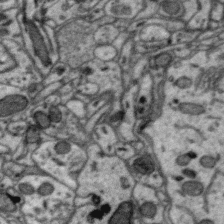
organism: Zebra finch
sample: Brain